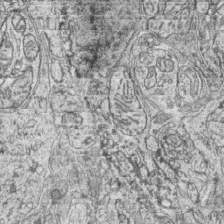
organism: Zebrafish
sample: synaptic ribbons in rod cells and cone cells